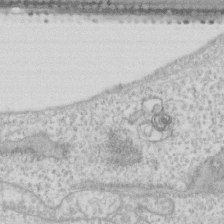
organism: Human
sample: Fibroblast cells